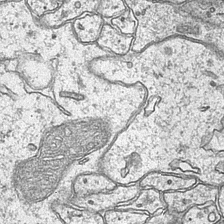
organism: Mouse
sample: CA1 Hippocampus